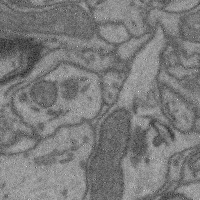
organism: Mouse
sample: Cerebral cortex